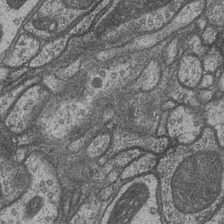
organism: Drosophila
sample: Optic medulla